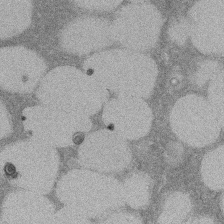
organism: Rat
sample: Salivary granule